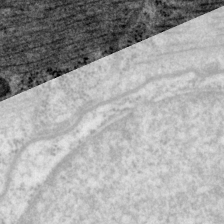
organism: P. pacificus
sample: Pharynx